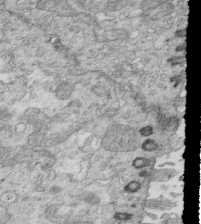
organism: Mouse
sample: Multiciliated cells